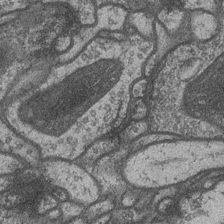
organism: Drosophila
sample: Optic medulla